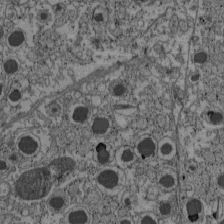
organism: C57BL Mouse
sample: Pancreatic islet